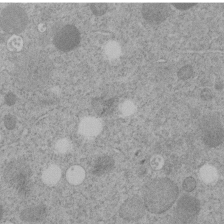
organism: C. elegans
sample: C. elegans embryo early stage